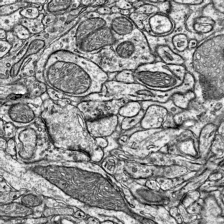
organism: Mouse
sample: Visual Cortex